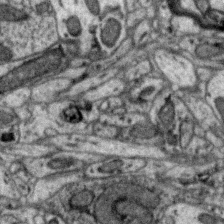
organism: Zebra finch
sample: Brain